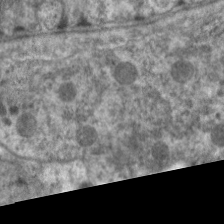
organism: C. elegans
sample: Pharynx